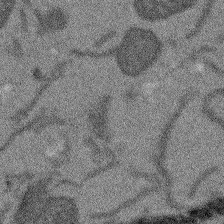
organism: Arabidopsis thaliana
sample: Root tip